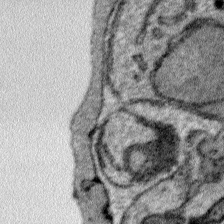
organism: Plasmodium falciparum